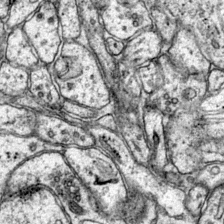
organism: Mouse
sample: Primary visual cortex